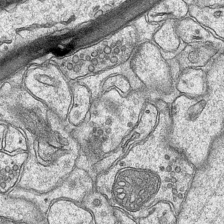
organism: Mouse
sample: CA1 Hippocampus